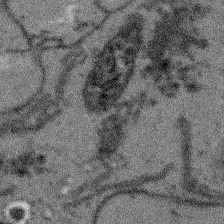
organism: Arabidopsis thaliana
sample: Root tip